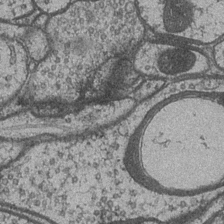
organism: Drosophila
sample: Optic medulla